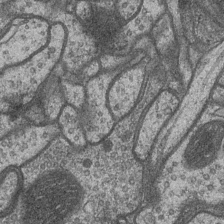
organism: Drosophila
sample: Optic medulla